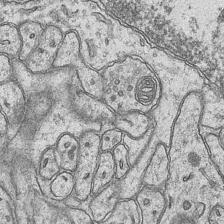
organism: Mouse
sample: CA1 Hippocampus